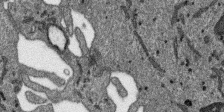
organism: Human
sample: Lung epithelial cells infected with SARS-CoV-2